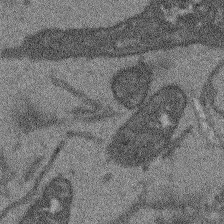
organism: Arabidopsis thaliana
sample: Root tip